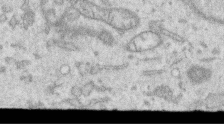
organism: Human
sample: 1205lu cells